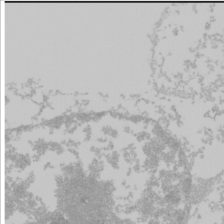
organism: Mouse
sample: Cancer cell death in ED-1 cells